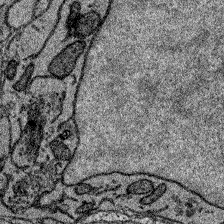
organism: Zebrafish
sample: Larval olfactory bulb